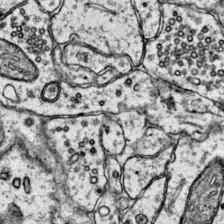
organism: Mouse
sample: Primary visual cortex